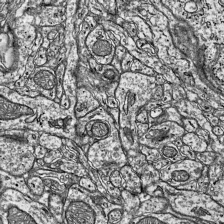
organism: Mouse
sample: Visual Cortex